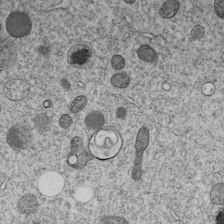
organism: C. elegans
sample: C. elegans embryo early stage